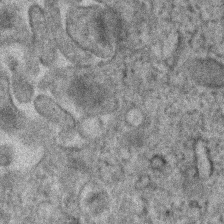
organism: Human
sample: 1205lu cells